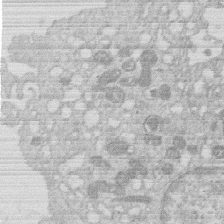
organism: Human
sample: Macrophage cells